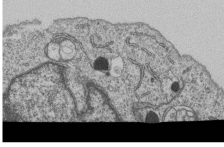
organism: Human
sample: MDA-MB-231 cells